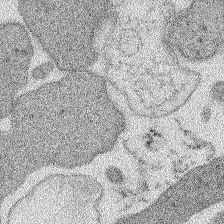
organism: Human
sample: HeLa cells